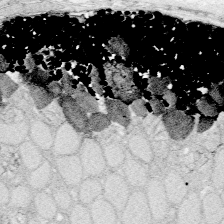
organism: Zebrafish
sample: Whole-Brain